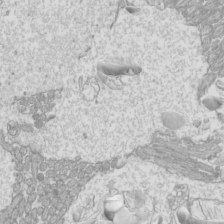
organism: Mouse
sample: Cilia; mouse epididymis